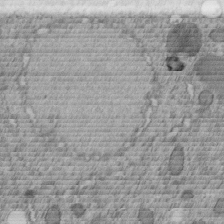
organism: C. elegans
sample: C. elegans embryo early stage